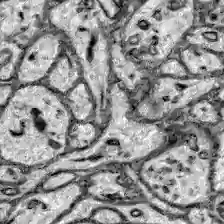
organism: Zebrafish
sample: Brain